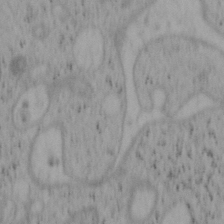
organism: Mouse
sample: OT-I killer T cells with ID8 ovarian cancer cells